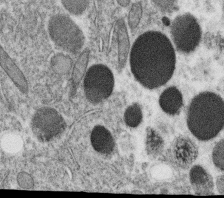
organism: C. elegans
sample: C. elegans oocyte; sperm cells